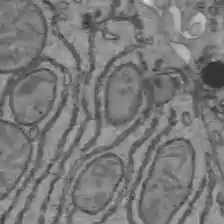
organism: C57BL Mouse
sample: Liver